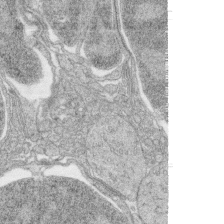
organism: Zebrafish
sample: synaptic ribbons in rod cells and cone cells